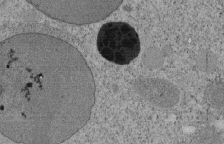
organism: Tetrahymena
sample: Cilia in tetrahymena